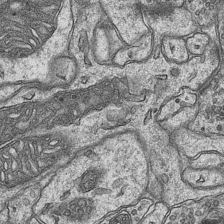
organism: Mouse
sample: CA1 Hippocampus